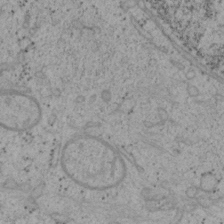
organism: Human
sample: HeLa cells